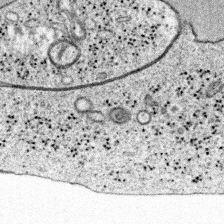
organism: Human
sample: HeLa cells